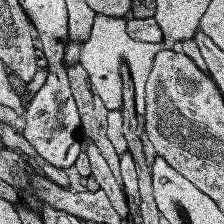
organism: Human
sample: Temporal Lobe